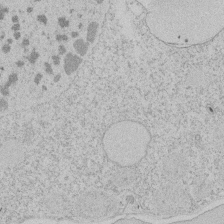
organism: Tetrahymena